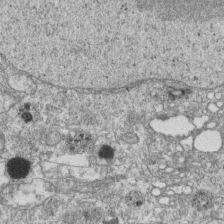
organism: Human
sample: HeLa cell HIV synapse